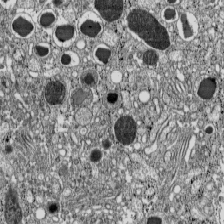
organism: C57BL Mouse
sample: Pancreatic islet